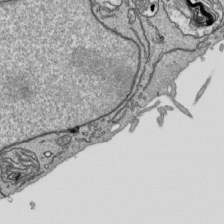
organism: Human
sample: Mitochondria in HCT116 cells